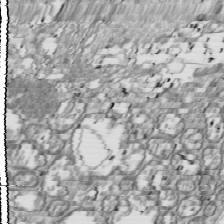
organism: Drosophila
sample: Cell division; meiosis; drosophila spermatocytes